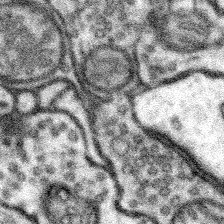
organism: Mouse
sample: Somatosensory cortex neuropil